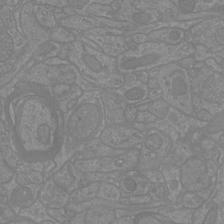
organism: Mouse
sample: Cortical neurons